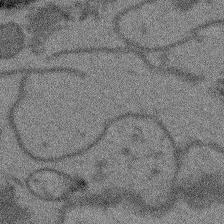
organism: Arabidopsis thaliana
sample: Root tip